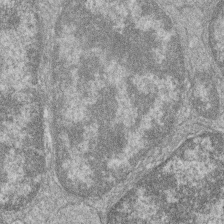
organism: Zebrafish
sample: Cilia; retinal pigment epithelium